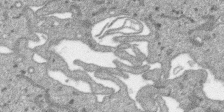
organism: Human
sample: Lung epithelial cells infected with SARS-CoV-2